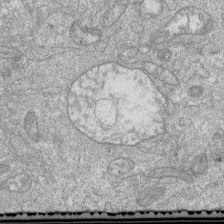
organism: Human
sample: HeLa cell HIV synapse